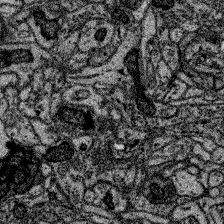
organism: Zebrafish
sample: Larval olfactory bulb